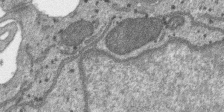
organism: Human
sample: Lung epithelial cells infected with SARS-CoV-2